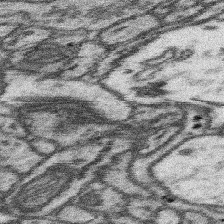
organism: Mouse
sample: Somatosensory cortex neuropil